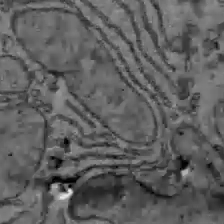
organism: C57BL Mouse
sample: Liver